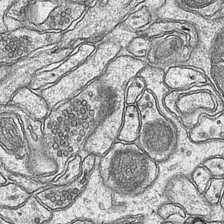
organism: Mouse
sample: CA1 Hippocampus